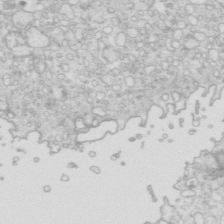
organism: Mouse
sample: Multiciliated cells